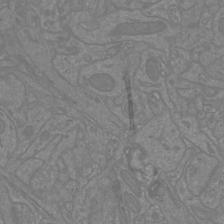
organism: Mouse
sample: Cortical neurons